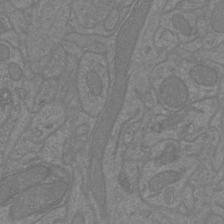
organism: Mouse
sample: Cortical neurons